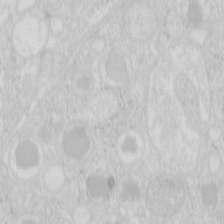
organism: Mouse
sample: Pancreas